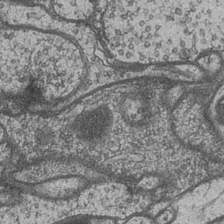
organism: Drosophila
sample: Optic medulla